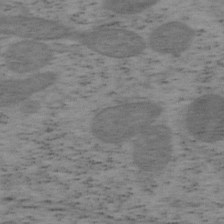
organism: Mouse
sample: OT-I killer T cells with ID8 ovarian cancer cells